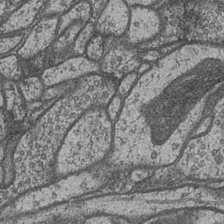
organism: Drosophila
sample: Optic medulla